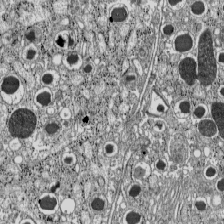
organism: C57BL Mouse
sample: Pancreatic islet